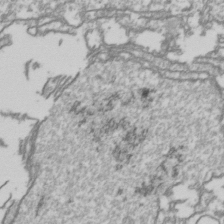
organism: Drosophila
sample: Cell division; meiosis; drosophila spermatocytes